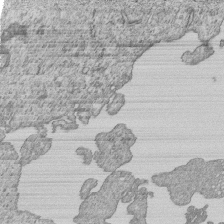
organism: Human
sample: MDA-MB-231 cells